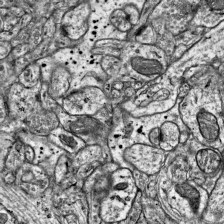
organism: Mouse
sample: Visual Cortex